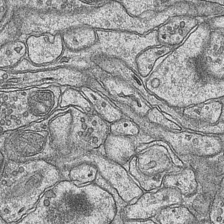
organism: Mouse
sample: CA1 Hippocampus